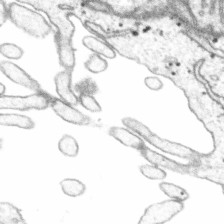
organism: Human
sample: HeLa cells